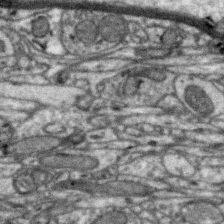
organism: Zebra finch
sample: Brain